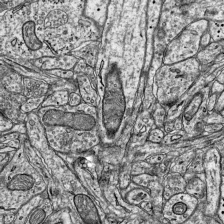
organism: Mouse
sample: Visual Cortex